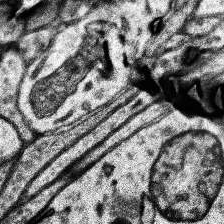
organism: Human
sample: Temporal Lobe